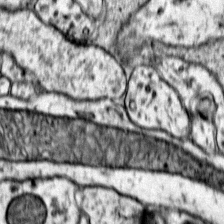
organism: Mouse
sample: Primary visual cortex